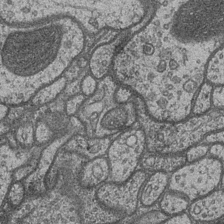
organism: Drosophila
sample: Optic medulla